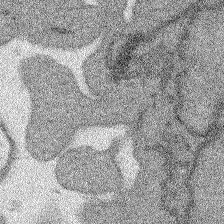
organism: Human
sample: HeLa cells